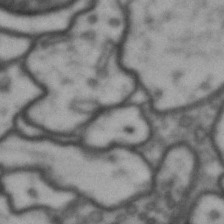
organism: Drosophila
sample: Brain